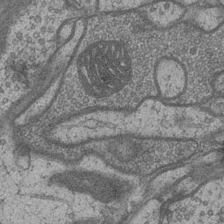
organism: Drosophila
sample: Optic medulla